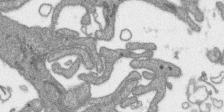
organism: Human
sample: Lung epithelial cells infected with SARS-CoV-2